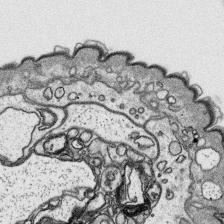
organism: Platynereis dumerilii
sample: Parapodia